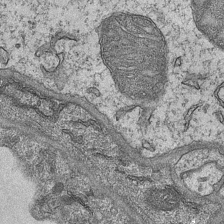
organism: Mouse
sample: CA1 Hippocampus